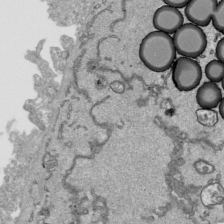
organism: Human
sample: Mitochondria in HCT116 cells